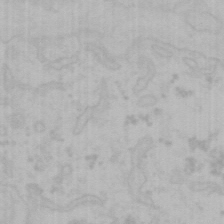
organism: Mouse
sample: Choroid plexus